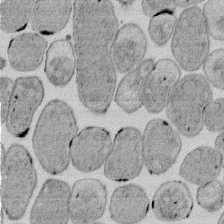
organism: E. coli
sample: Bacterial nucleoid